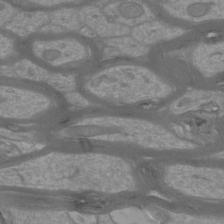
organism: Mouse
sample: Cortical neurons